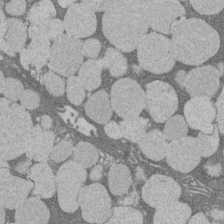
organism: Rat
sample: Salivary granule